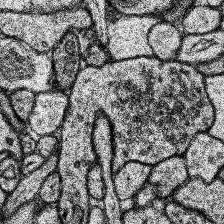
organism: Human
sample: Temporal Lobe